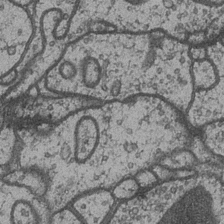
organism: Drosophila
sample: Optic medulla